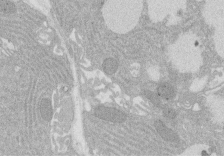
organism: Rat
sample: Salivary granule